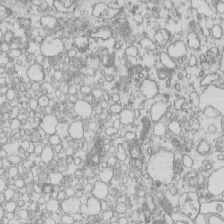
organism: Mouse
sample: Macrophages